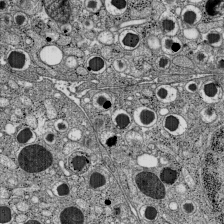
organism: C57BL Mouse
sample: Pancreatic islet